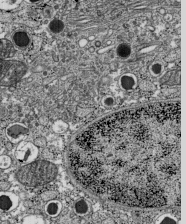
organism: C57BL Mouse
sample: Pancreatic islet